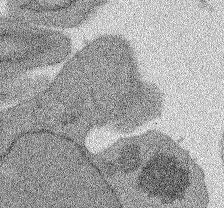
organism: Human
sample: HeLa cells